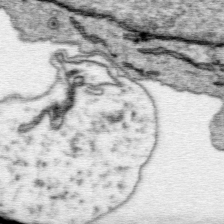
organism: Human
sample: HeLa cells